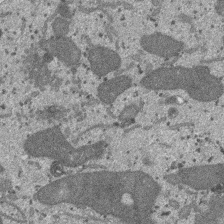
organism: Human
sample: Lung epithelial cells infected with SARS-CoV-2